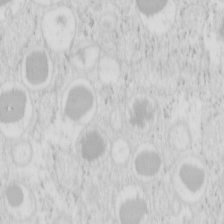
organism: Mouse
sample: Pancreas